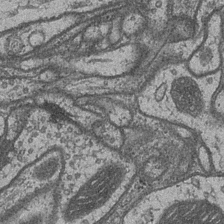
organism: Drosophila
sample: Optic medulla